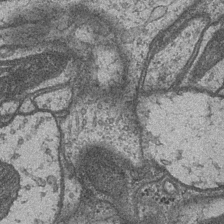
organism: Drosophila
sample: Optic medulla